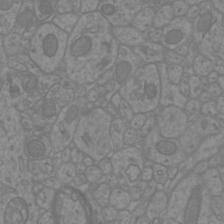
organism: Mouse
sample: Cortical neurons